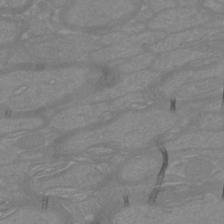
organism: Mouse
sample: Cortical neurons